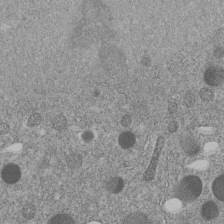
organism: C. elegans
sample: C. elegans embryo early stage